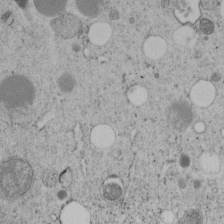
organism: C. elegans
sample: C. elegans embryo early stage